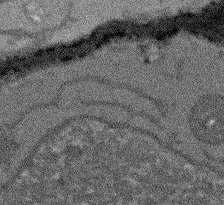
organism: Arabidopsis thaliana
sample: Root tip